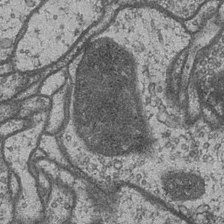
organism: Drosophila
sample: Optic medulla